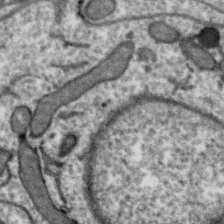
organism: Zebra finch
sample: Brain